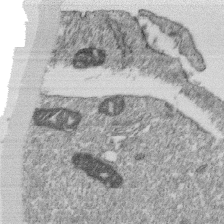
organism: African green monkey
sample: Vero E6 cells infected with SARS-CoV-2